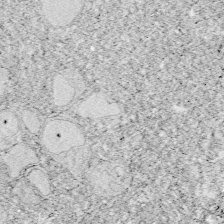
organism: Zebrafish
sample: Whole-Brain